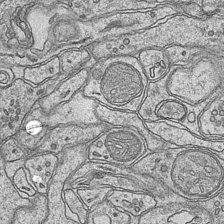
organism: Mouse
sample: CA1 Hippocampus